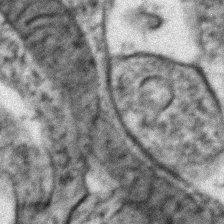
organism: Zebrafish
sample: Zebrafish embryo